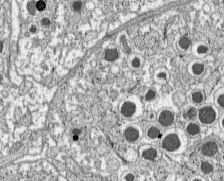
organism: C57BL Mouse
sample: Pancreatic islet